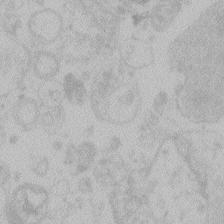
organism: Zebrafish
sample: Macrophage infected with Toxoplasma gondii